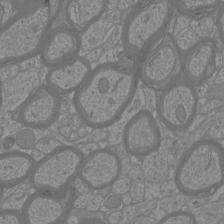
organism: Mouse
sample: Cortical neurons